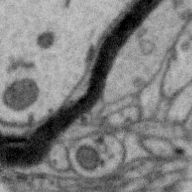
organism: Zebra finch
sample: Brain